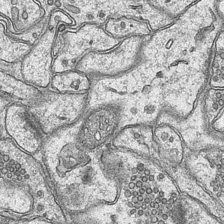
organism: Mouse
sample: CA1 Hippocampus